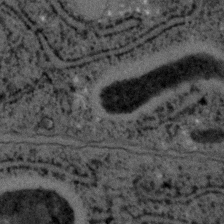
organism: C. elegans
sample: C. elegans embryo